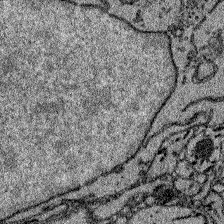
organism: Zebrafish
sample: Larval olfactory bulb